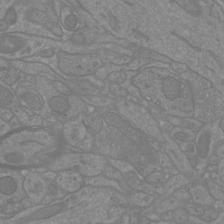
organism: Mouse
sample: Cortical neurons